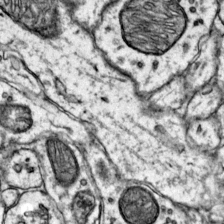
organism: Mouse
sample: Primary visual cortex